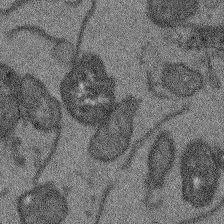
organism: Arabidopsis thaliana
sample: Root tip